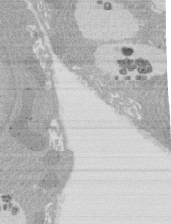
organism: Rat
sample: Salivary granule